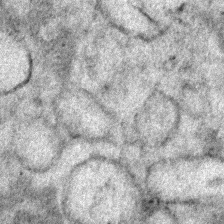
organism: Human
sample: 1205lu cells